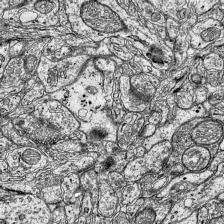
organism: Mouse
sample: Visual Cortex